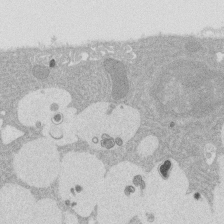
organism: Rat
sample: Salivary granule